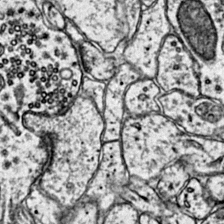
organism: Mouse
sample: Primary visual cortex